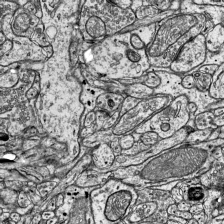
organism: Mouse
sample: Visual Cortex